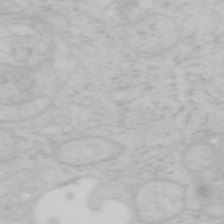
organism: Mouse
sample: OT-I killer T cells with ID8 ovarian cancer cells